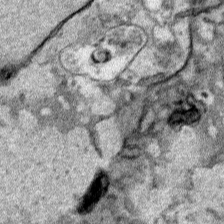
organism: Human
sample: Mitochondria in HCT116 cells